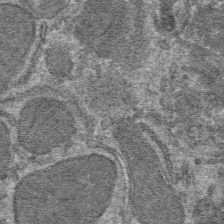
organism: Mouse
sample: Mouse hepatocytes